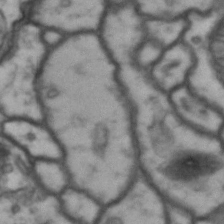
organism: Drosophila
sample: Brain